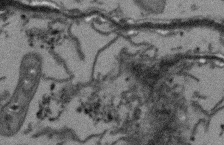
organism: Arabidopsis thaliana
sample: Root tip